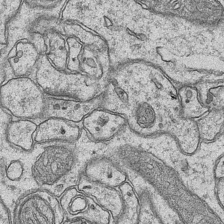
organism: Mouse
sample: CA1 Hippocampus